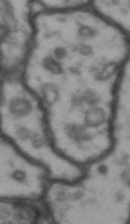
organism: Drosophila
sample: Brain